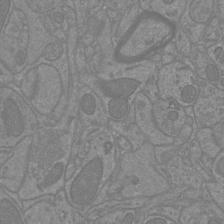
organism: Mouse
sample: Cortical neurons